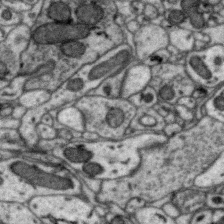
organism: Zebra finch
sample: Brain